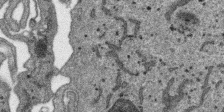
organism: Human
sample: Lung epithelial cells infected with SARS-CoV-2